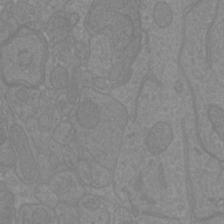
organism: Mouse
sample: Cortical neurons